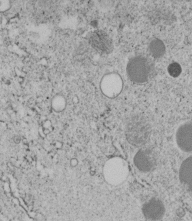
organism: C. elegans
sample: C. elegans embryo early stage